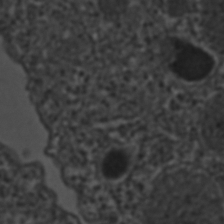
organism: C. elegans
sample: C. elegans embryo